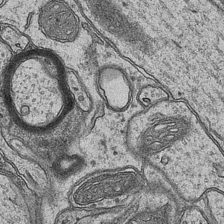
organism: Mouse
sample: CA1 Hippocampus